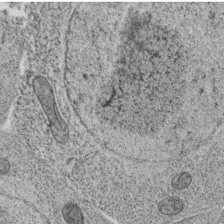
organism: C. elegans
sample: C. elegans oocyte; sperm cells